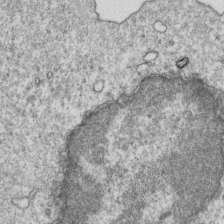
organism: Mouse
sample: Activated OT-1 CD8+ T cells